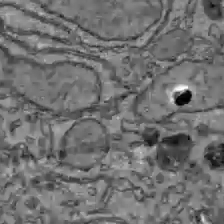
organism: C57BL Mouse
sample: Liver